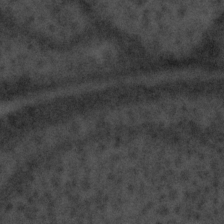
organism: Tuwongella immobilis